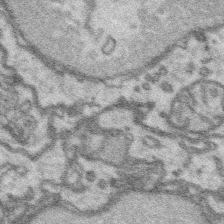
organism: Platynereis dumerilii